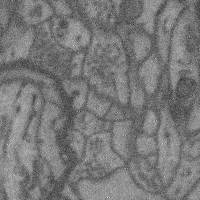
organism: Mouse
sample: Cerebral cortex